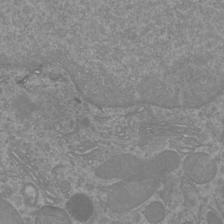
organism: Mouse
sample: Cortical neurons